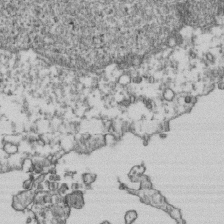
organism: Human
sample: Activated Jurkat CD4+ T cells